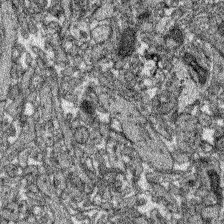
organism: Zebrafish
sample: Larval olfactory bulb